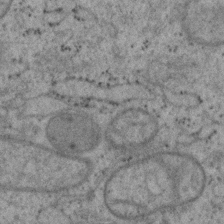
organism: Human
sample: HeLa cells